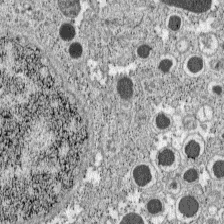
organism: C57BL Mouse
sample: Pancreatic islet